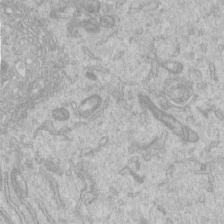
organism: Human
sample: Centriole in RPE cells